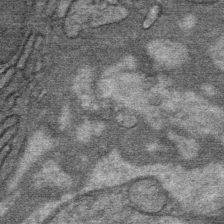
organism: Mouse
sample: Mouse Salivary gland